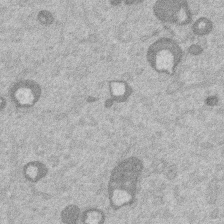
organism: Mouse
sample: Dividing mouse embryo 1 cell stage